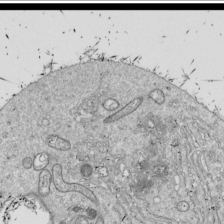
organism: Drosophila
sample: Cell division; meiosis; drosophila spermatocytes